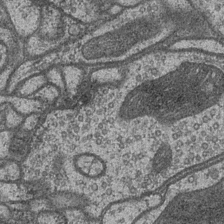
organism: Drosophila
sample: Optic medulla